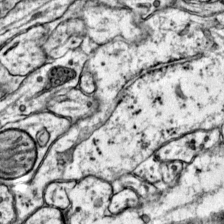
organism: Mouse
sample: Primary visual cortex